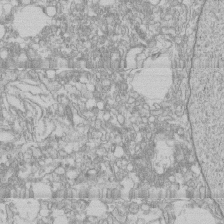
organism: Human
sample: CRL-1474